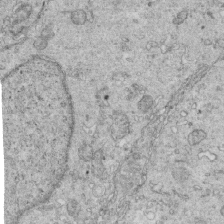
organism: Mouse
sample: Multiciliated cells